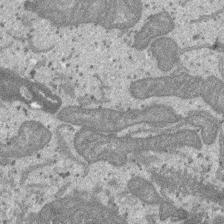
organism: Human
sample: Lung epithelial cells infected with SARS-CoV-2